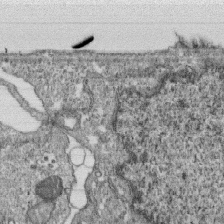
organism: African green monkey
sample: Vero E6 cells infected with SARS-CoV-2